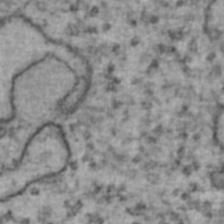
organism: Human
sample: Blood